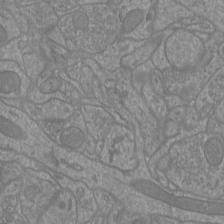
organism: Mouse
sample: Cortical neurons